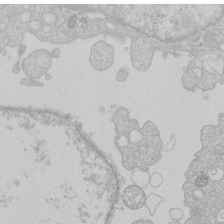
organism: Human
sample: Macrophage cells